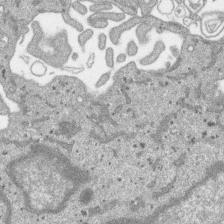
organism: Human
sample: Lung epithelial cells infected with SARS-CoV-2